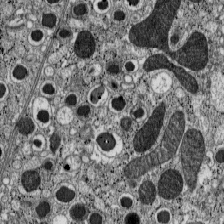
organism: C57BL Mouse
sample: Pancreatic islet